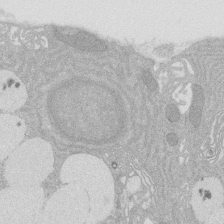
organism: Rat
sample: Salivary granule